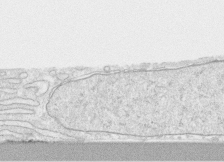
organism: Human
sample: CRL-1474